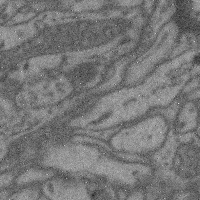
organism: Mouse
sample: Cerebral cortex